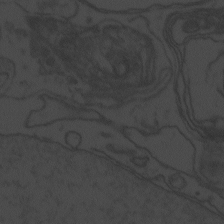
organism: Zebrafish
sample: Macrophage infected with Toxoplasma gondii